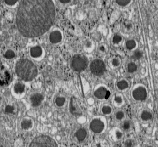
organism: C57BL Mouse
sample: Pancreatic islet